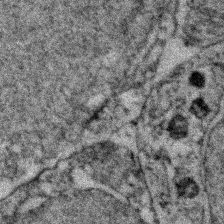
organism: Zebrafish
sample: Zebrafish embryo